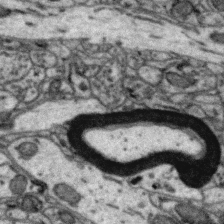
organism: Zebra finch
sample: Brain